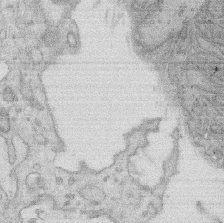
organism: Rat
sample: Salivary granule